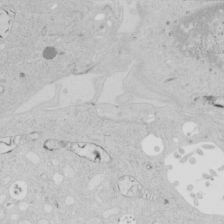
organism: Human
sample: Mitochondria in HCT116 cells